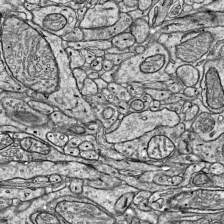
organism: Mouse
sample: Visual Cortex